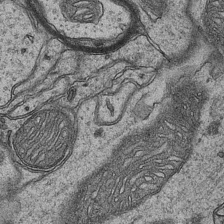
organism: Mouse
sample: CA1 Hippocampus